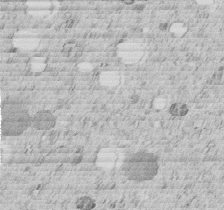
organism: C. elegans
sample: C. elegans embryo early stage